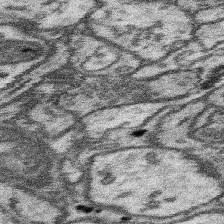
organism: Mouse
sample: Somatosensory cortex neuropil